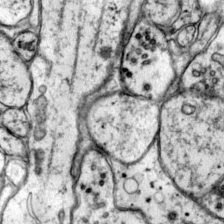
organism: Mouse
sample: Primary visual cortex